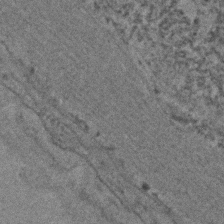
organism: C. elegans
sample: C. elegans embryo